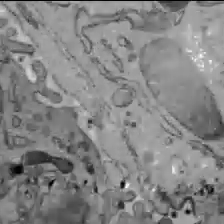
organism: C57BL Mouse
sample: Liver